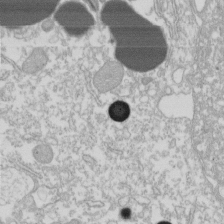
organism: Xenopus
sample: Cilia; centrioles in frog embryo cells